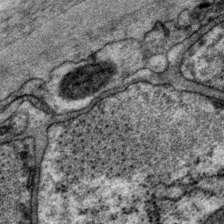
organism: P. pacificus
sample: Pharynx